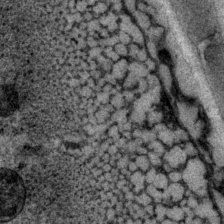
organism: P. pacificus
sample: Pharynx